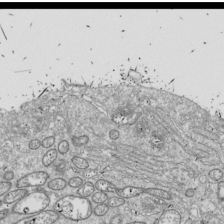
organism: Drosophila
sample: Cell division; meiosis; drosophila spermatocytes